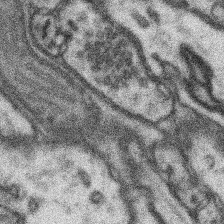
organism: Mouse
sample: Somatosensory cortex neuropil